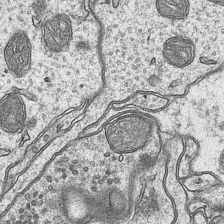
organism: Mouse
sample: CA1 Hippocampus